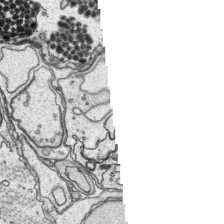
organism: Platynereis dumerilii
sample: Parapodia